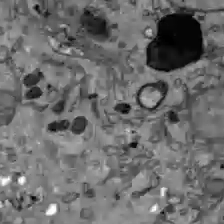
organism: C57BL Mouse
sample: Liver